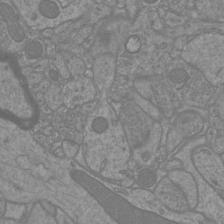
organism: Mouse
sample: Cortical neurons